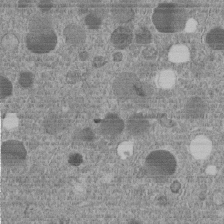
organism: C. elegans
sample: C. elegans embryo early stage